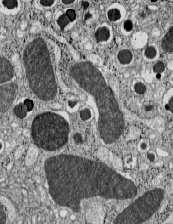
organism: C57BL Mouse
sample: Pancreatic islet